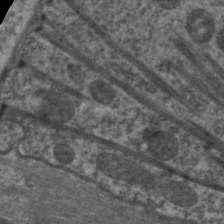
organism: C. elegans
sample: Pharynx